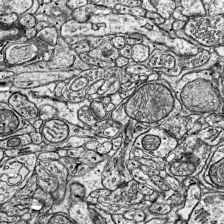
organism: Mouse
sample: Visual Cortex